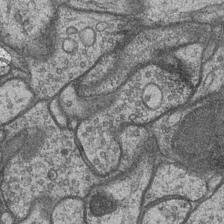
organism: Drosophila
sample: Optic medulla